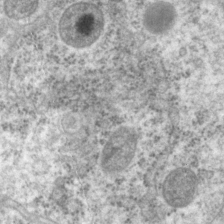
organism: P. pacificus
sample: Pharynx